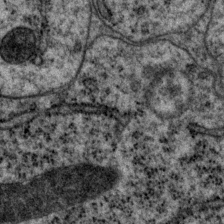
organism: P. pacificus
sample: Pharynx